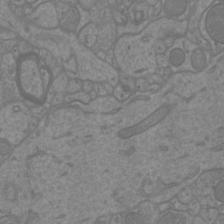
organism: Mouse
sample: Cortical neurons